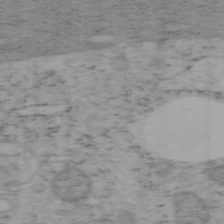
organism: Mouse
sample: OT-I killer T cells with ID8 ovarian cancer cells